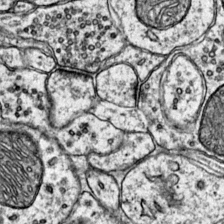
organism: Mouse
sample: Primary visual cortex